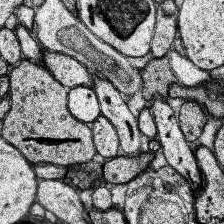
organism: Human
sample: Temporal Lobe